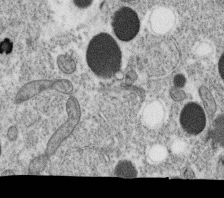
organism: C. elegans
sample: C. elegans oocyte; sperm cells